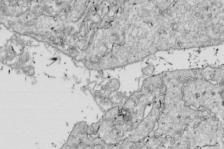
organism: Drosophila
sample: Cell division; meiosis; drosophila spermatocytes